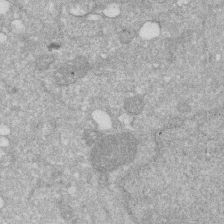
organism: Human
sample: HIV infected U937 cells